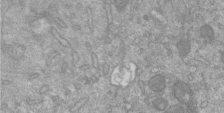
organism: Mouse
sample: ED-1 cell nuclei; centrioles